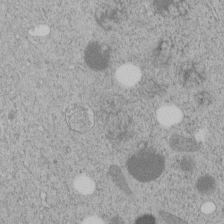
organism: C. elegans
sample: C. elegans embryo early stage